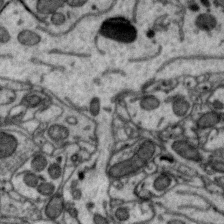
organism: Zebra finch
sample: Brain